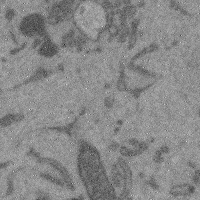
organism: Mouse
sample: Cerebral cortex